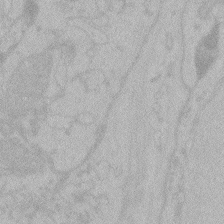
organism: Zebrafish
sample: Macrophage infected with Toxoplasma gondii